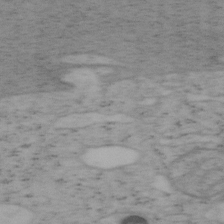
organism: Mouse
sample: OT-I killer T cells with ID8 ovarian cancer cells